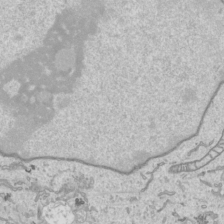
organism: Human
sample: Mitochondria in HCT116 cells